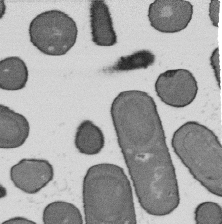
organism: B. subtilis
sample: Bacterial spore